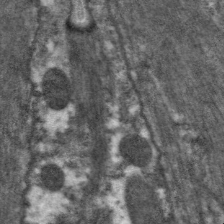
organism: C. elegans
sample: Pharynx